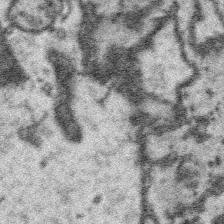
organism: Platynereis dumerilii